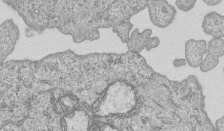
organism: Human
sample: MDA-MB-231 cells